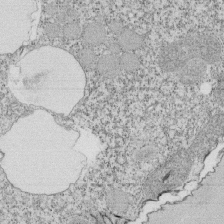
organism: Tetrahymena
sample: Cilia in tetrahymena